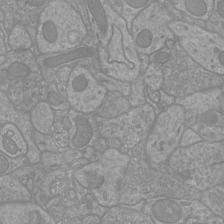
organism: Mouse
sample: Cortical neurons